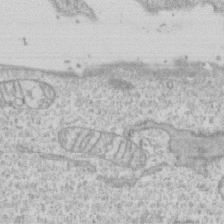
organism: Human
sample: CRL-1474